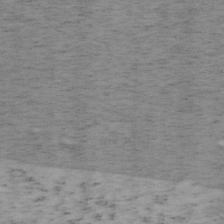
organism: Mouse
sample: OT-I killer T cells with ID8 ovarian cancer cells